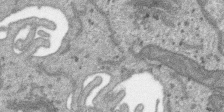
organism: Human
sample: Lung epithelial cells infected with SARS-CoV-2